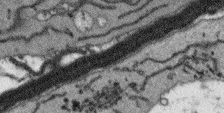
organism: Arabidopsis thaliana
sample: Root tip